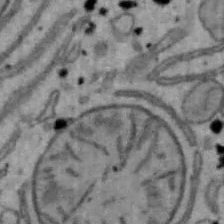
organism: Mouse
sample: Liver